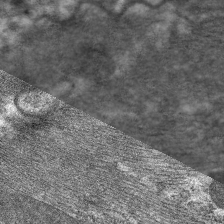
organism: C. elegans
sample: Pharynx